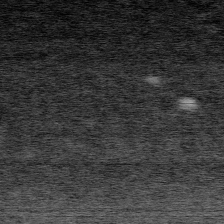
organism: Human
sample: HeLa cells